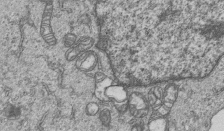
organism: Human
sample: MDA-MB-231 cells